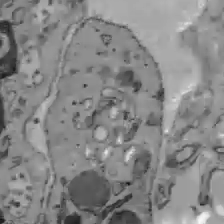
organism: C57BL Mouse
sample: Liver